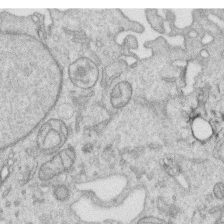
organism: Human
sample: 1205lu cells